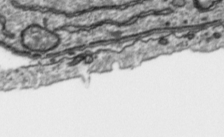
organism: Toxoplasma gondii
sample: Parasites in a vacuole inside a host cell